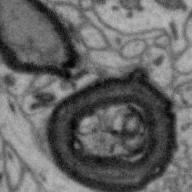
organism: Zebra finch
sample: Brain